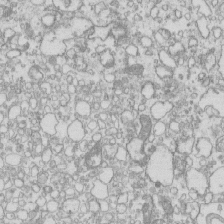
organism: Mouse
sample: Macrophages